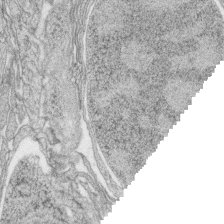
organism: Zebrafish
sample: synaptic ribbons in rod cells and cone cells